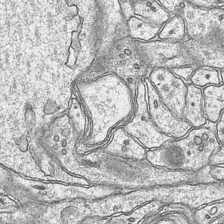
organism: Mouse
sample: CA1 Hippocampus